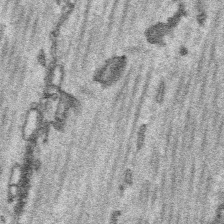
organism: Platynereis dumerilii